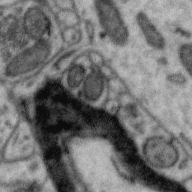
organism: Zebra finch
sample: Brain